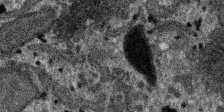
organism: Human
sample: Lung epithelial cells infected with SARS-CoV-2